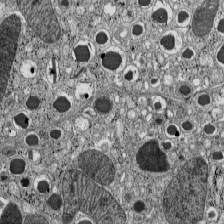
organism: C57BL Mouse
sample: Pancreatic islet